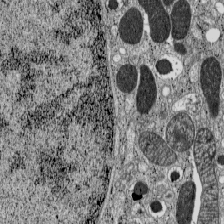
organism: C57BL Mouse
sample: Pancreatic islet